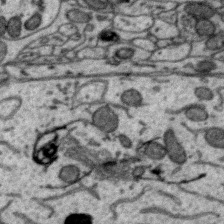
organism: Zebra finch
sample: Brain